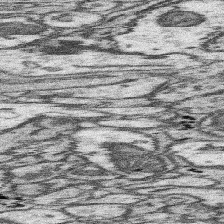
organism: Mouse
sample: Somatosensory cortex neuropil